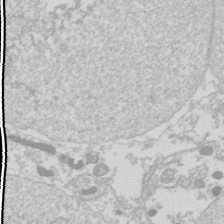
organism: Drosophila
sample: Cell division; meiosis; drosophila spermatocytes